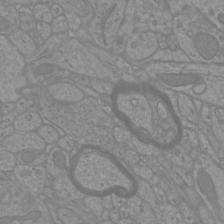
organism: Mouse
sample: Cortical neurons